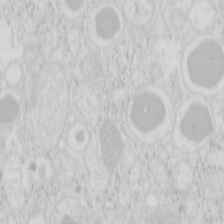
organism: Mouse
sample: Pancreas